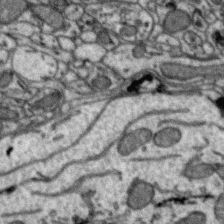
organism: Zebra finch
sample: Brain